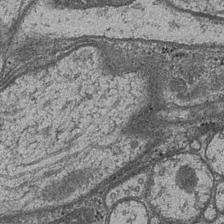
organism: Drosophila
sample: Optic medulla